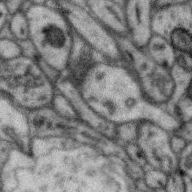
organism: Zebra finch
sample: Brain